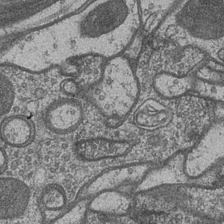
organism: Drosophila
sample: Optic medulla